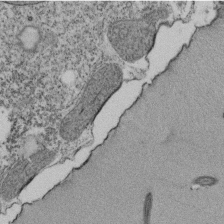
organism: Tetrahymena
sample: Cilia in tetrahymena